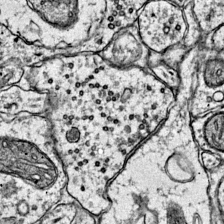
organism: Mouse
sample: Primary visual cortex